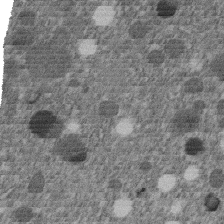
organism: C. elegans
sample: C. elegans embryo early stage